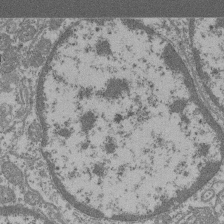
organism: Mouse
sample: Glomerulus